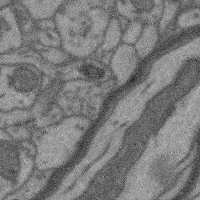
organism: Mouse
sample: Cerebral cortex